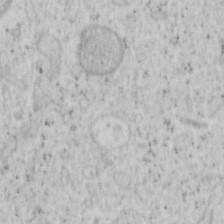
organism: Human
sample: HeLa cells